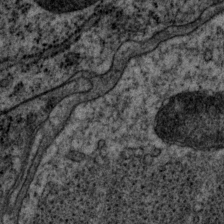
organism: P. pacificus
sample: Pharynx